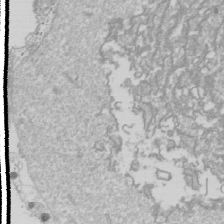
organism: Drosophila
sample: Cell division; meiosis; drosophila spermatocytes